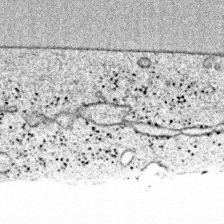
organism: Human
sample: HeLa cells